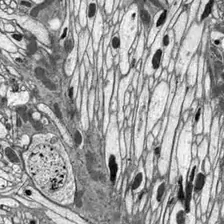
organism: Drosophila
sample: Optic lobe